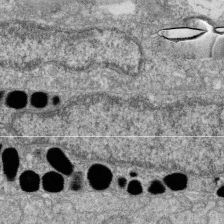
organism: Zebrafish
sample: Cilia; retinal pigment epithelium